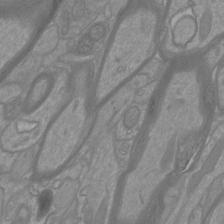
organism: Mouse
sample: Cortical neurons